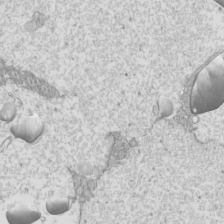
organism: Mouse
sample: Cilia; mouse epididymis